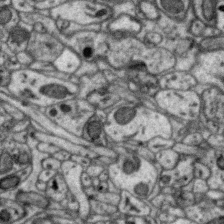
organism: Zebra finch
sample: Brain